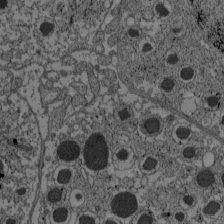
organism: C57BL Mouse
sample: Pancreatic islet